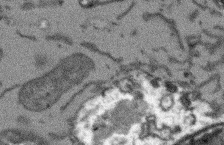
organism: Arabidopsis thaliana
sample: Root tip